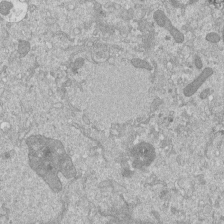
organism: Mouse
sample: ED-1 cell nuclei; centrioles